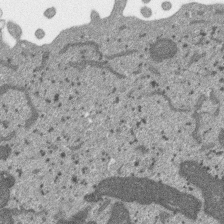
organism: Human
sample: Lung epithelial cells infected with SARS-CoV-2